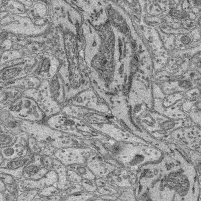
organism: Mouse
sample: Retina